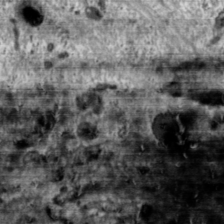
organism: Toxoplasma gondii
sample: Parasites in a vacuole inside a host cell